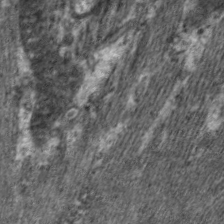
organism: C. elegans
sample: Pharynx